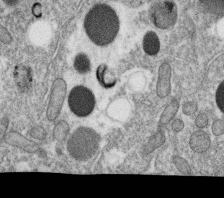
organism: C. elegans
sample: C. elegans oocyte; sperm cells